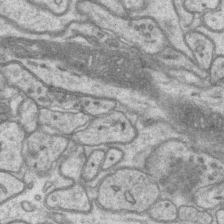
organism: Mouse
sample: CA1 Hippocampus